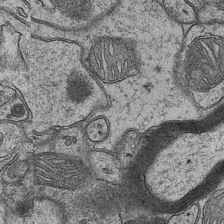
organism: Mouse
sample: CA1 Hippocampus